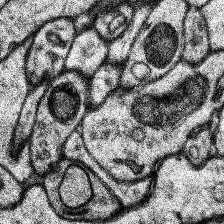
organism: Human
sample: Temporal Lobe